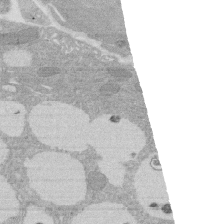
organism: Rat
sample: Salivary granule